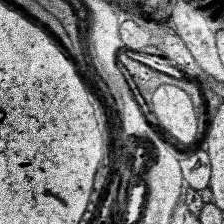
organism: Human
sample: Temporal Lobe